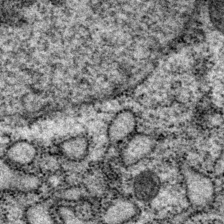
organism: P. pacificus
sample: Pharynx